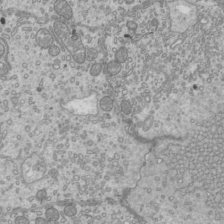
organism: Mouse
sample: Cilia; mouse epididymis